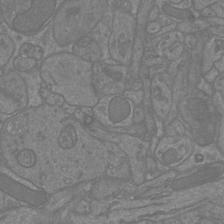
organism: Mouse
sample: Cortical neurons